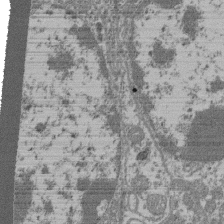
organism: Mouse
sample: Glomerulus